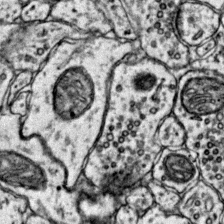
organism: Mouse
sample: Primary visual cortex